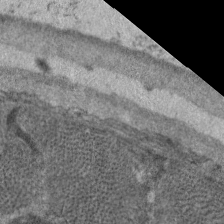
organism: C. elegans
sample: Pharynx